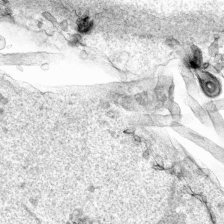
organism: Human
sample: Mitochondria in HCT116 cells